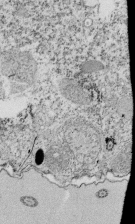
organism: Tetrahymena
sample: Cilia in tetrahymena